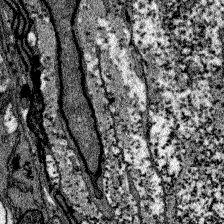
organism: Zebrafish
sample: Larval olfactory bulb